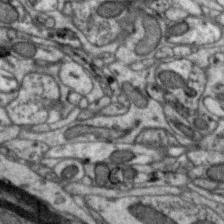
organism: Zebra finch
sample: Brain